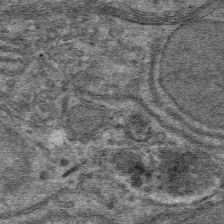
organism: Mouse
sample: Mouse hepatocytes